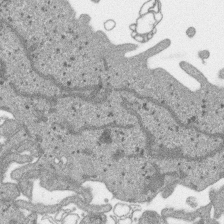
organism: Human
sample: Lung epithelial cells infected with SARS-CoV-2